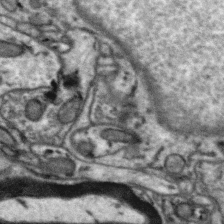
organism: Zebra finch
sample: Brain